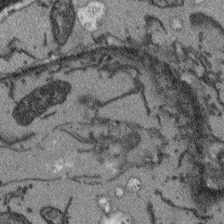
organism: Arabidopsis thaliana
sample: Root tip